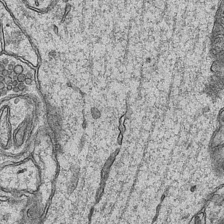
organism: Mouse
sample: CA1 Hippocampus